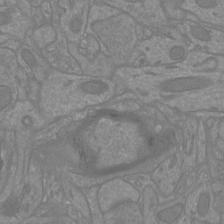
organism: Mouse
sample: Cortical neurons